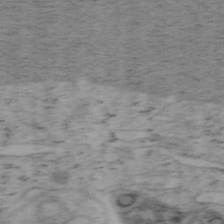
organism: Mouse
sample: OT-I killer T cells with ID8 ovarian cancer cells